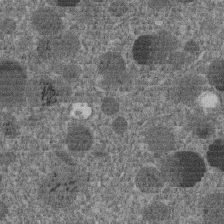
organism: C. elegans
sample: C. elegans embryo early stage